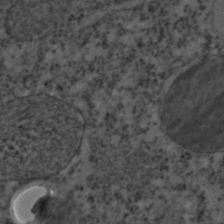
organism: C. elegans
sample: C. elegans embryo